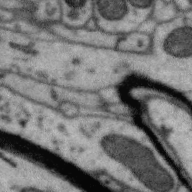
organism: Zebra finch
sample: Brain